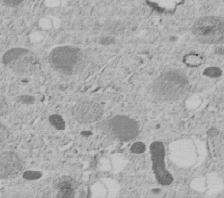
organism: C. elegans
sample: C. elegans embryo early stage